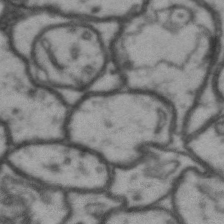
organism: Drosophila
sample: Brain